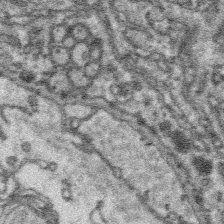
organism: Platynereis dumerilii